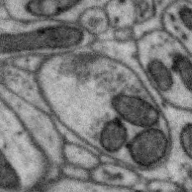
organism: Zebra finch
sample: Brain